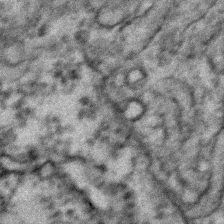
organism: Zebrafish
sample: Zebrafish embryo